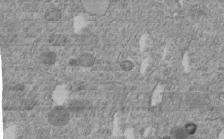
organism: C. elegans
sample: C. elegans embryo early stage